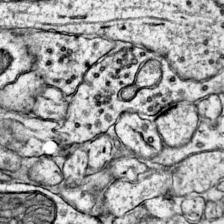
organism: Mouse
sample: Primary visual cortex